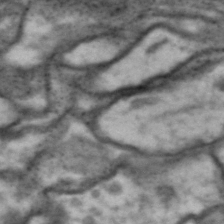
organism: Drosophila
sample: Brain